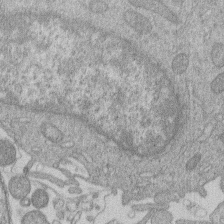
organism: Human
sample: Macrophage cells